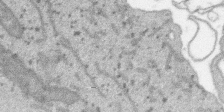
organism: Human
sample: Lung epithelial cells infected with SARS-CoV-2